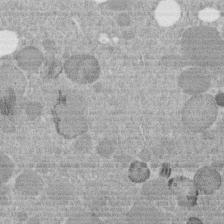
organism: C. elegans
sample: C. elegans embryo early stage